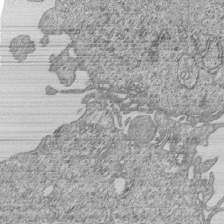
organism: Human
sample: MDA-MB-231 cells